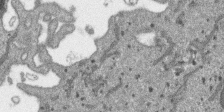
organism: Human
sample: Lung epithelial cells infected with SARS-CoV-2